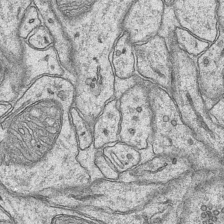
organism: Mouse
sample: CA1 Hippocampus